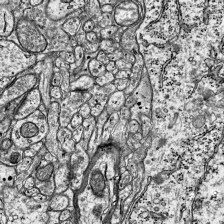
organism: Mouse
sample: Visual Cortex